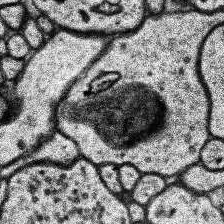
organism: Human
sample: Temporal Lobe